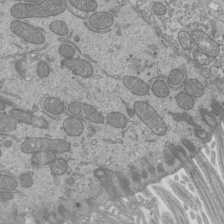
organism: Mouse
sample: Cilia; mouse epididymis